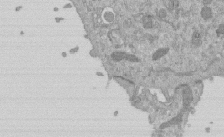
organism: Mouse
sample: ED-1 cell nuclei; centrioles